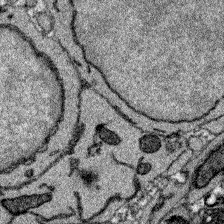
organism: Zebrafish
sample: Larval olfactory bulb